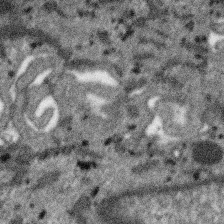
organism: Human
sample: Lung epithelial cells infected with SARS-CoV-2